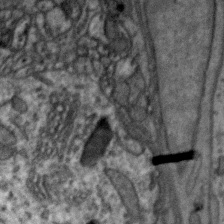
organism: Zebra finch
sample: Brain